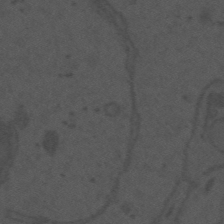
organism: Mouse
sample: Suprachiasmatic nucleus